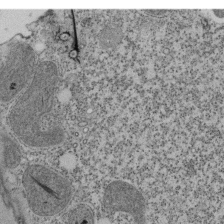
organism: Tetrahymena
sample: Cilia in tetrahymena